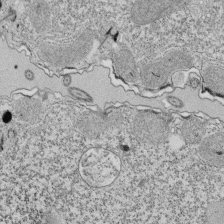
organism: Tetrahymena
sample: Cilia in tetrahymena